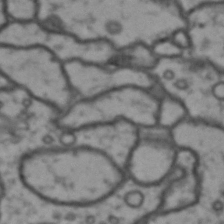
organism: Drosophila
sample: Brain